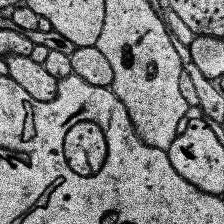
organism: Human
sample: Temporal Lobe